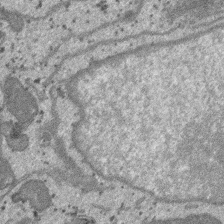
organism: Human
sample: Lung epithelial cells infected with SARS-CoV-2